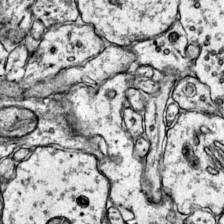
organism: Mouse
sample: Primary visual cortex